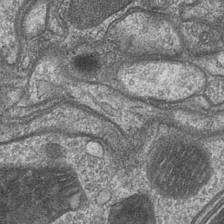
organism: Drosophila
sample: Optic medulla